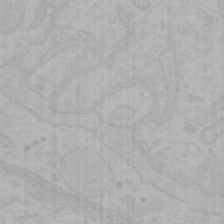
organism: Mouse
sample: Choroid plexus